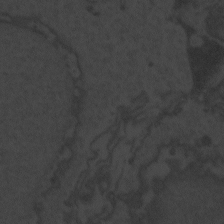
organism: Zebrafish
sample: Macrophage infected with Toxoplasma gondii